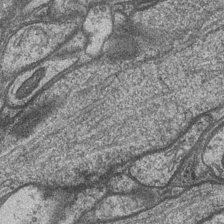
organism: Drosophila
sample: Optic medulla